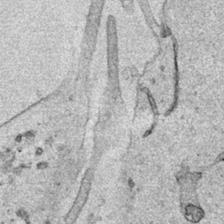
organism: Human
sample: Mitochondria in HCT116 cells